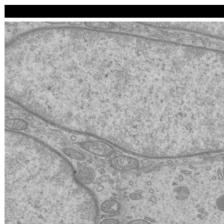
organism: Mouse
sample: Cilia; mouse epididymis